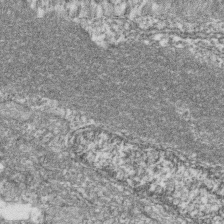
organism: Zebrafish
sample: Cilia; retinal pigment epithelium